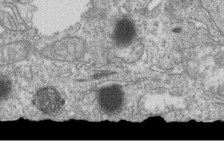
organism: Human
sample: HeLa cell HIV synapse